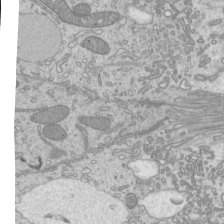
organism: Mouse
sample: Cilia; mouse epididymis